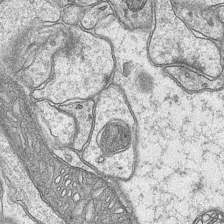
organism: Mouse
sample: CA1 Hippocampus